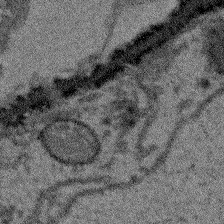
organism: Arabidopsis thaliana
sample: Root tip